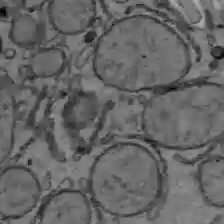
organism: C57BL Mouse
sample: Liver